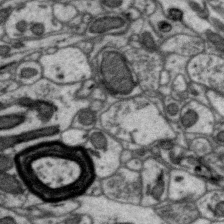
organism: Zebra finch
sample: Brain